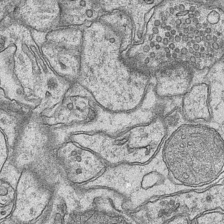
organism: Mouse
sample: CA1 Hippocampus